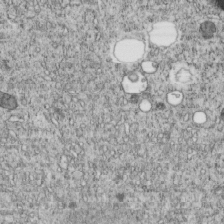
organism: C. elegans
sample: C. elegans embryo early stage